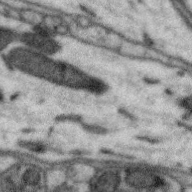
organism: Zebra finch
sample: Brain